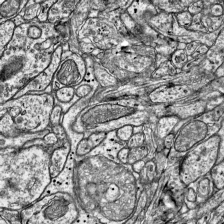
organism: Mouse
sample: Visual Cortex